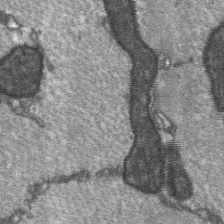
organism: C57BL Mouse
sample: Soleus